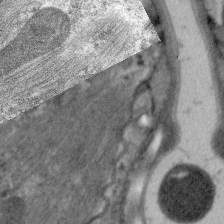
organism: C. elegans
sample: Pharynx